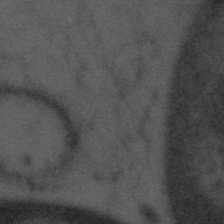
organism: Tuwongella immobilis